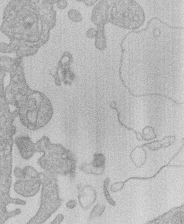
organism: Human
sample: Macrophage cells